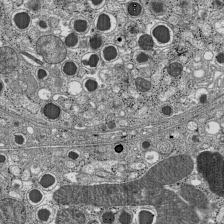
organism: C57BL Mouse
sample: Pancreatic islet